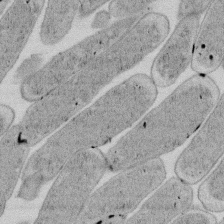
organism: E. coli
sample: Bacterial nucleoid